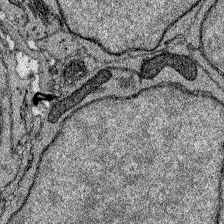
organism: Zebrafish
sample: Larval olfactory bulb